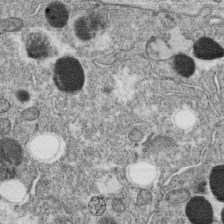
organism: C. elegans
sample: C. elegans oocyte; sperm cells